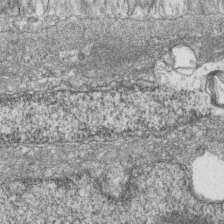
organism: Zebrafish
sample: Cilia; retinal pigment epithelium